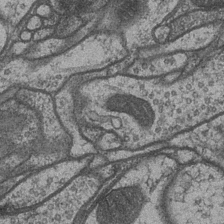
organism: Drosophila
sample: Optic medulla